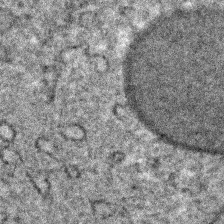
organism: C. elegans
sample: C. elegans embryo